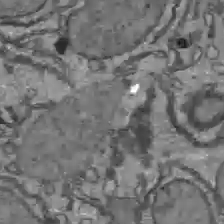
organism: C57BL Mouse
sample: Liver